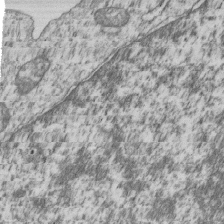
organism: Human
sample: MDA-MB-231 cells